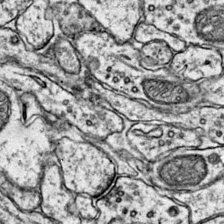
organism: Mouse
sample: Primary visual cortex